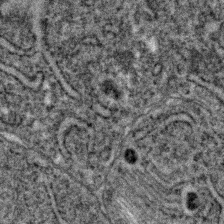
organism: C. elegans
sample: C. elegans embryo